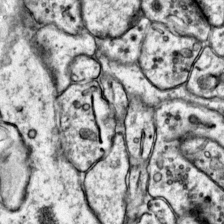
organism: Mouse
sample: Primary visual cortex